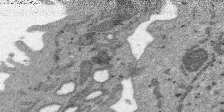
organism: Human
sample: Lung epithelial cells infected with SARS-CoV-2